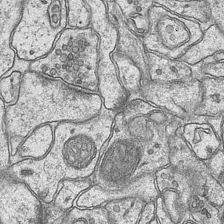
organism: Mouse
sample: CA1 Hippocampus